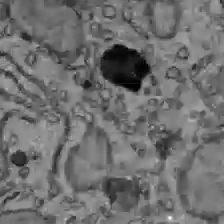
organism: C57BL Mouse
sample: Liver